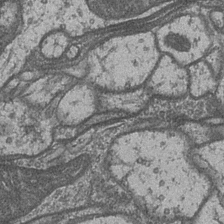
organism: Drosophila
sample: Optic medulla